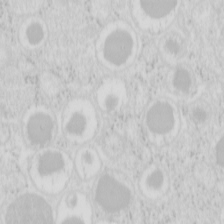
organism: Mouse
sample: Pancreas